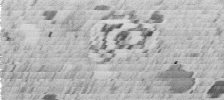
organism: C. elegans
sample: C. elegans embryo early stage